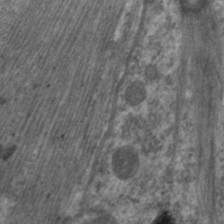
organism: C. elegans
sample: Pharynx